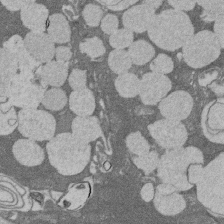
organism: Rat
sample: Salivary granule